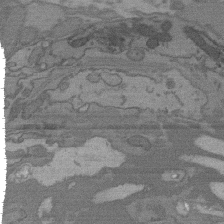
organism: C. elegans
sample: AFD neurons C. elegans